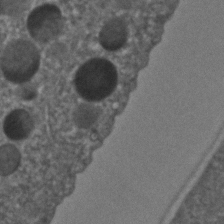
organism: C. elegans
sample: C. elegans embryo